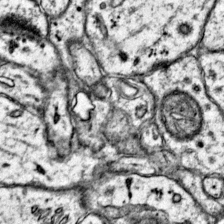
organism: Mouse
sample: Primary visual cortex